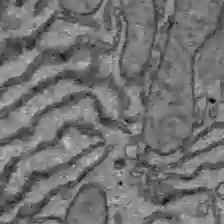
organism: C57BL Mouse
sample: Liver